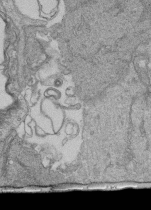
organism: Human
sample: Retinal organoid Rod and Cone cells